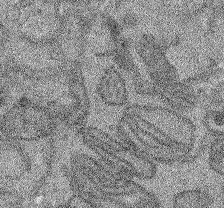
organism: Human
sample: HeLa cells